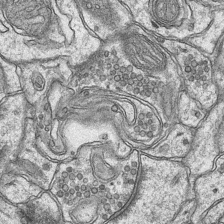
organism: Mouse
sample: CA1 Hippocampus